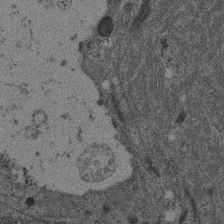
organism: Mouse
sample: Dividing mouse embryo 1 cell stage